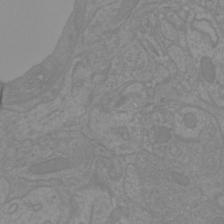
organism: Mouse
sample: Cortical neurons